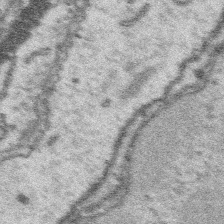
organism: Platynereis dumerilii